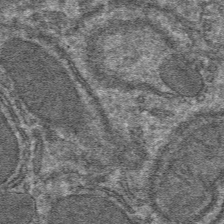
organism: Mouse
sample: Mouse hepatocytes